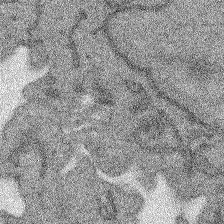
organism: Human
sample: HeLa cells